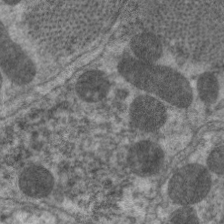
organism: C. elegans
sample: Pharynx